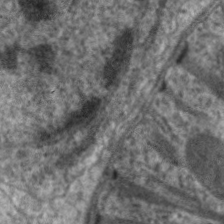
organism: C. elegans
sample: Pharynx